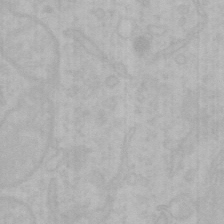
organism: Mouse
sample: Choroid plexus